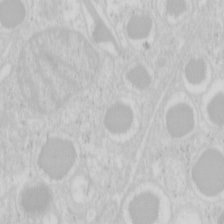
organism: Mouse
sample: Pancreas